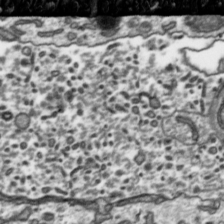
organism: Toxoplasma gondii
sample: Parasites in a vacuole inside a host cell